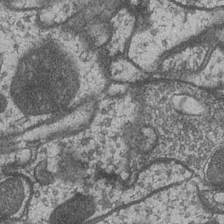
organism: Drosophila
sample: Optic medulla